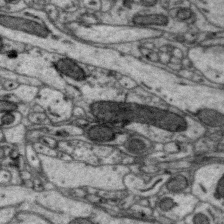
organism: Zebra finch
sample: Brain